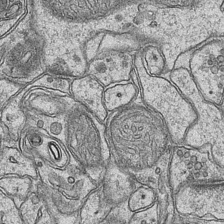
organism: Mouse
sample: CA1 Hippocampus